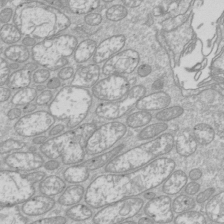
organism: Drosophila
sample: Cell division; meiosis; drosophila spermatocytes